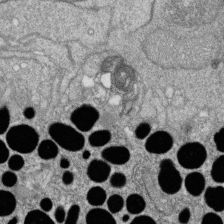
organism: Zebrafish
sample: Cilia; retinal pigment epithelium